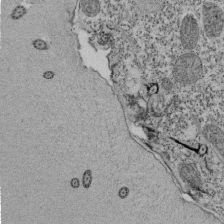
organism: Tetrahymena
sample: Cilia in tetrahymena